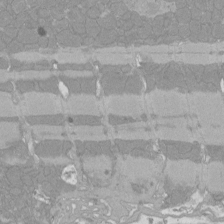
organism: Rat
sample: Left ventricle